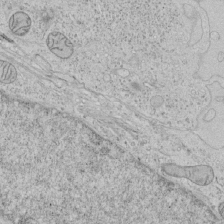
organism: Human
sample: Mitochondria in HCT116 cells